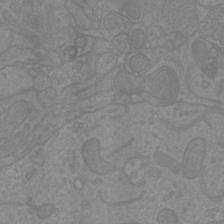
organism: Mouse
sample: Cortical neurons